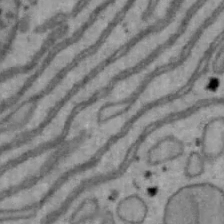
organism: Mouse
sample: Liver